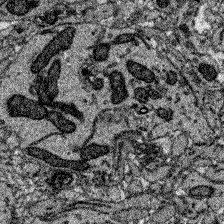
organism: Zebrafish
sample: Larval olfactory bulb